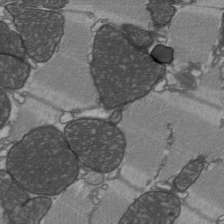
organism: C57BL Mouse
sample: Heart